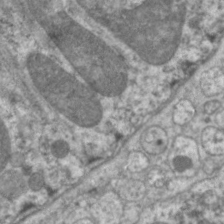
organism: C. elegans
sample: Pharynx